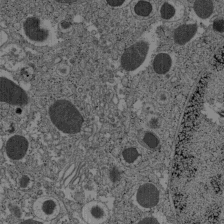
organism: C57BL Mouse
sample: Pancreatic islet